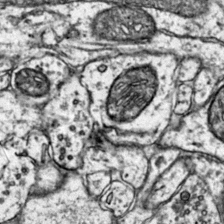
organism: Mouse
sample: Primary visual cortex